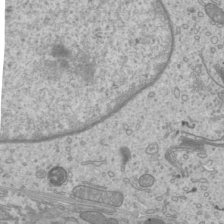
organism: Mouse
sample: Cilia; mouse epididymis